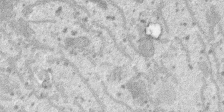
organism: Human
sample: Lung epithelial cells infected with SARS-CoV-2